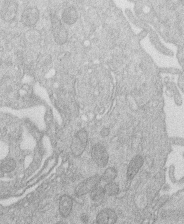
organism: Human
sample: Macrophage cells